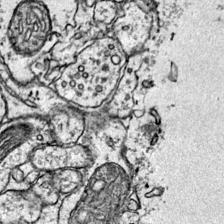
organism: Mouse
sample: Primary visual cortex